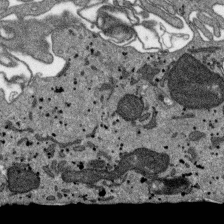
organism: Human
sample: Lung epithelial cells, uninfected (mock) control